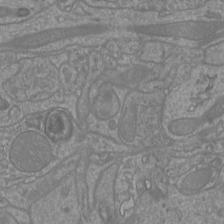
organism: Mouse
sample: Cortical neurons